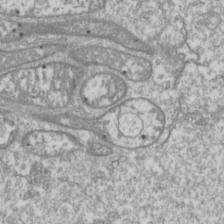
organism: Drosophila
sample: Cell division; meiosis; drosophila spermatocytes